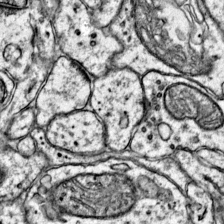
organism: Mouse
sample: Primary visual cortex